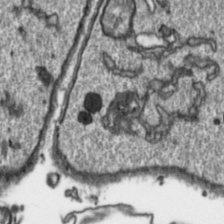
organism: Toxoplasma gondii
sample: Parasites in a vacuole inside a host cell